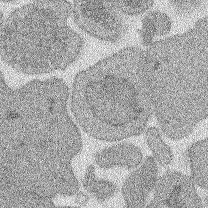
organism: Human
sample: HeLa cells